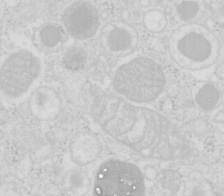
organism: Mouse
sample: Pancreas